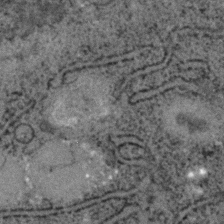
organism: C. elegans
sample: C. elegans embryo